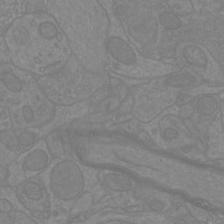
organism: Mouse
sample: Cortical neurons